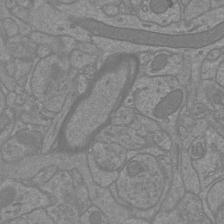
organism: Mouse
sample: Cortical neurons